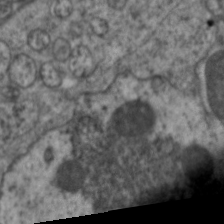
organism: C. elegans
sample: Pharynx